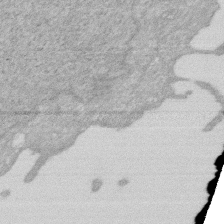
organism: Human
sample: HIV infected U937 cells